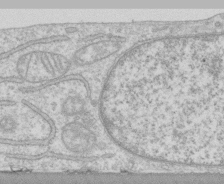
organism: Human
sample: CRL-1474